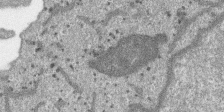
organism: Human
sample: Lung epithelial cells infected with SARS-CoV-2